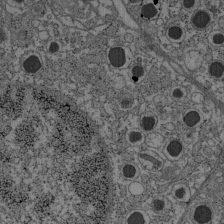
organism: C57BL Mouse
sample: Pancreatic islet